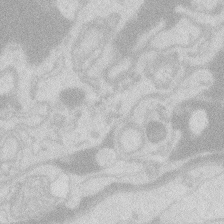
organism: Zebrafish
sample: Macrophage